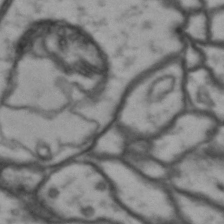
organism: Drosophila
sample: Brain